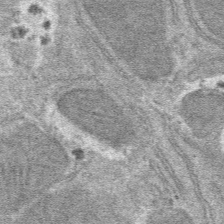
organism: Mouse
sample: Mouse hepatocytes